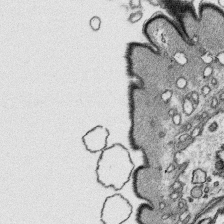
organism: Platynereis dumerilii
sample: Parapodia